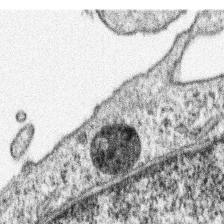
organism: Human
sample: HeLa cells